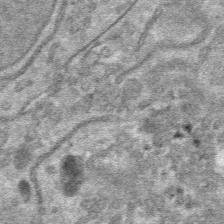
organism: Mouse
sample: Mouse hepatocytes